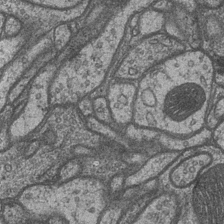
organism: Drosophila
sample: Optic medulla